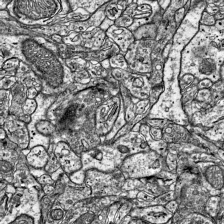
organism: Mouse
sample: Visual Cortex